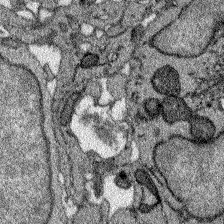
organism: Zebrafish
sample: Larval olfactory bulb